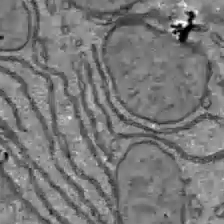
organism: C57BL Mouse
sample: Liver